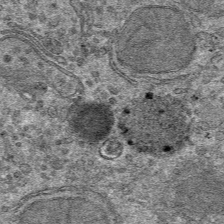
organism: Mouse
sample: Mouse hepatocytes